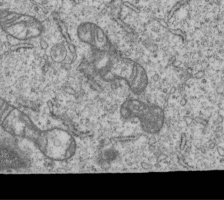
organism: Human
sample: MDA-MB-231 cells